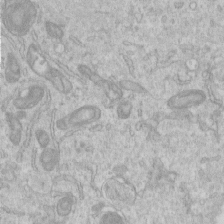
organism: Human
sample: Centriole in RPE cells